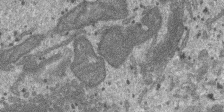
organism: Human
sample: Lung epithelial cells infected with SARS-CoV-2